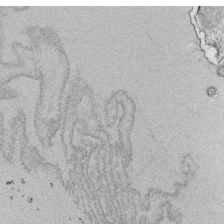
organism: Tetrahymena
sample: Cilia in tetrahymena